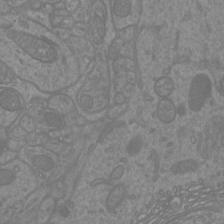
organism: Mouse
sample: Cortical neurons